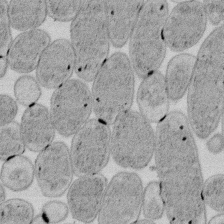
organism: E. coli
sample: Bacterial nucleoid